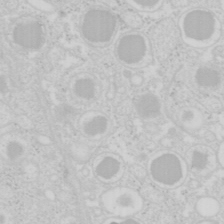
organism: Mouse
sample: Pancreas